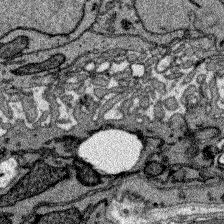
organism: Zebrafish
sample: Larval olfactory bulb